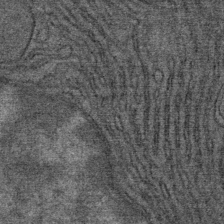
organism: Mouse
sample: Mouse Salivary gland